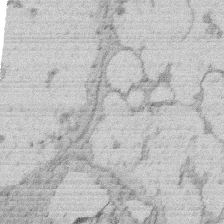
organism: Rat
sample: Salivary granule